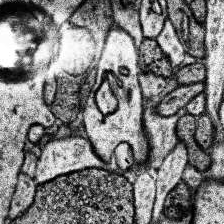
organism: Human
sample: Temporal Lobe